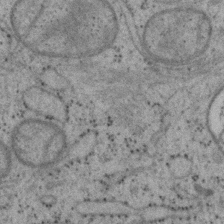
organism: Human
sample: HeLa cells